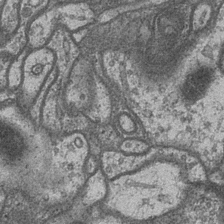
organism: Drosophila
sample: Optic medulla